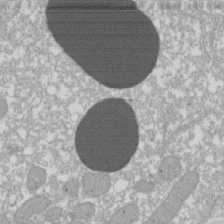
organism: Xenopus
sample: Cilia; centrioles in frog embryo cells